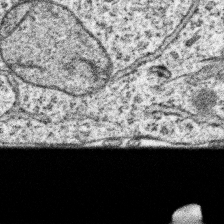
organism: Human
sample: HeLa cells